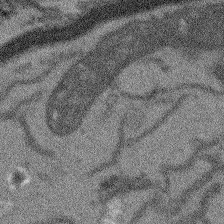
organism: Arabidopsis thaliana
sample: Root tip